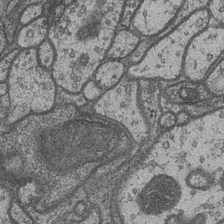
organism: Drosophila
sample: Optic medulla